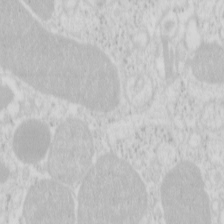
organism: Mouse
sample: Pancreas